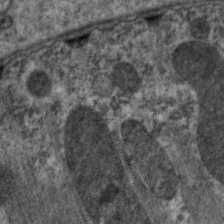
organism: C. elegans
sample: Pharynx